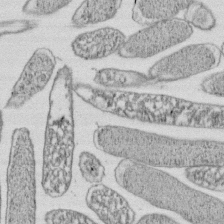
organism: E. coli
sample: Bacterial nucleoid